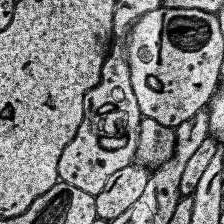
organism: Human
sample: Temporal Lobe